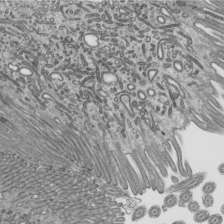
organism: Mouse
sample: Mouse epididymis efferent ductule cilia